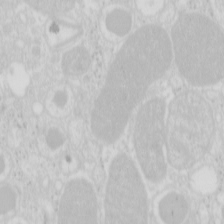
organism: Mouse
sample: Pancreas